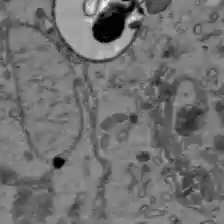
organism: C57BL Mouse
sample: Liver